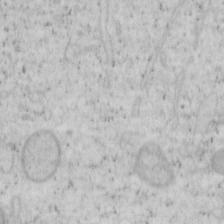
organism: Human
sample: HeLa cells